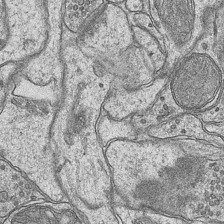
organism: Mouse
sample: CA1 Hippocampus